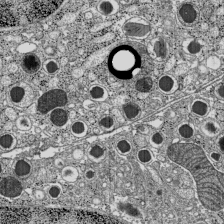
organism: C57BL Mouse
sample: Pancreatic islet